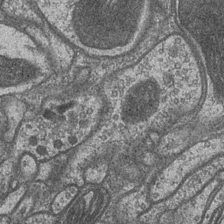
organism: Drosophila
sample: Optic medulla